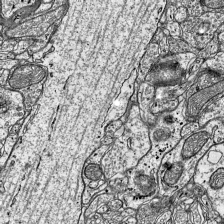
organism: Mouse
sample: Visual Cortex